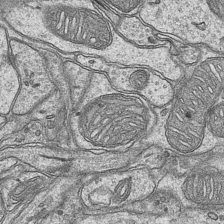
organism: Mouse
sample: CA1 Hippocampus